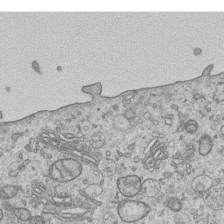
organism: Human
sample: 1205lu cells